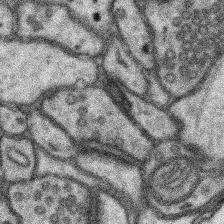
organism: Mouse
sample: Somatosensory cortex neuropil